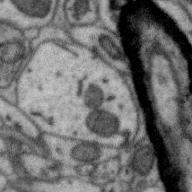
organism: Zebra finch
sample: Brain